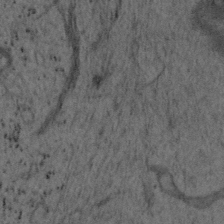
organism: Human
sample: HeLa cells